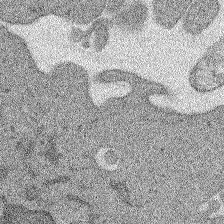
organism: Human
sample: HeLa cells